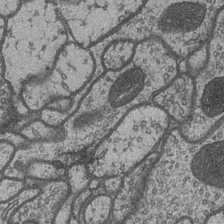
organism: Drosophila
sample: Optic medulla